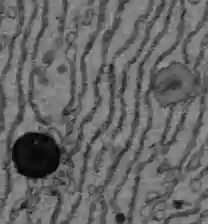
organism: C57BL Mouse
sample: Liver